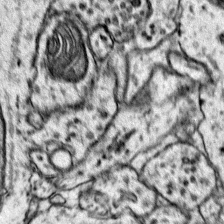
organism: Mouse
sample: Primary visual cortex